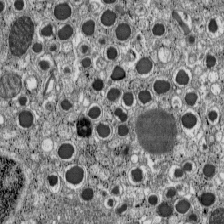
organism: C57BL Mouse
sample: Pancreatic islet